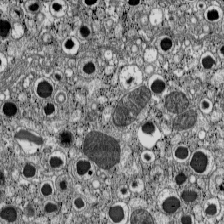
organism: C57BL Mouse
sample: Pancreatic islet